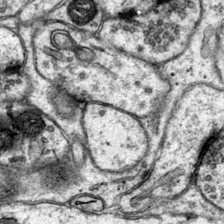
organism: Mouse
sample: Primary visual cortex